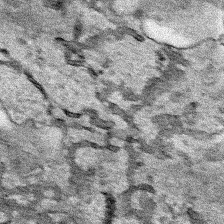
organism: Human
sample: Mitochondria in HCT116 cells